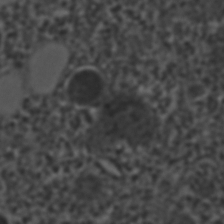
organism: C. elegans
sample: C. elegans embryo